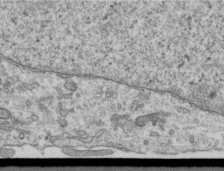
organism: Human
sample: Centriole in RPE cells